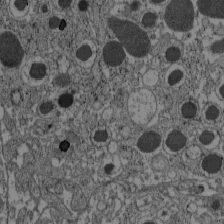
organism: C57BL Mouse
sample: Pancreatic islet